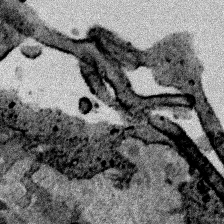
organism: Human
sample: Mitochondria in HCT116 cells